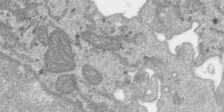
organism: Human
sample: Lung epithelial cells infected with SARS-CoV-2